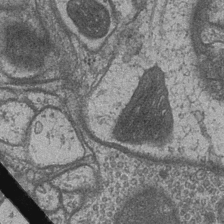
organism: Drosophila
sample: Optic medulla